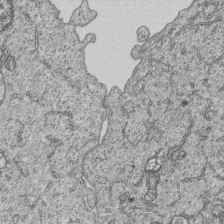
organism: Human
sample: MDA-MB-231 cells